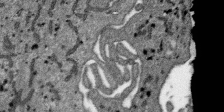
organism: Human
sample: Lung epithelial cells, uninfected (mock) control